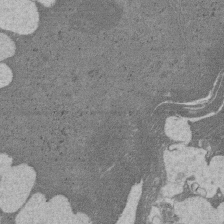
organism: Rat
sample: Salivary granule